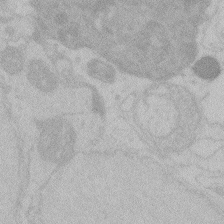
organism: Zebrafish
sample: Macrophage infected with Toxoplasma gondii